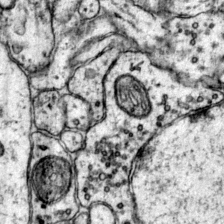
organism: Mouse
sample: Primary visual cortex